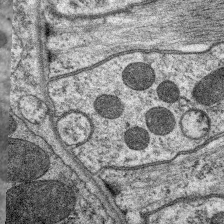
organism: C. elegans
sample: Pharynx